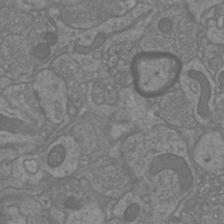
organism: Mouse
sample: Cortical neurons